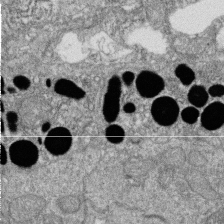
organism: Zebrafish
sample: Cilia; retinal pigment epithelium